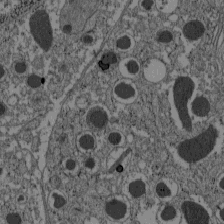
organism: C57BL Mouse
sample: Pancreatic islet